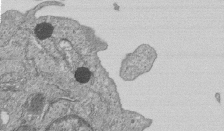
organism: Human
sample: MDA-MB-231 cells